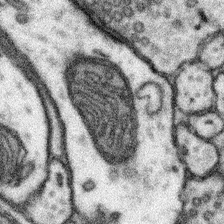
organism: Mouse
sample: Somatosensory cortex neuropil